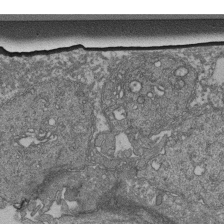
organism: Human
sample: Retinal organoid Rod and Cone cells